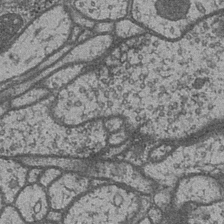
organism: Drosophila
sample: Optic medulla